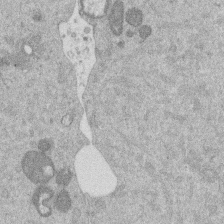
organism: Mouse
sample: Dividing mouse embryo 1 cell stage